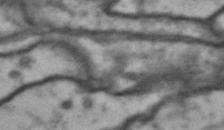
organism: Drosophila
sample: Brain